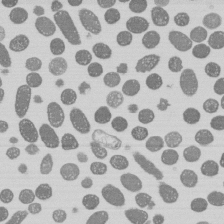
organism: E. coli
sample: Bacterial nucleoid